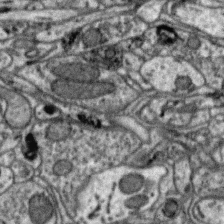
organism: Zebra finch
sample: Brain